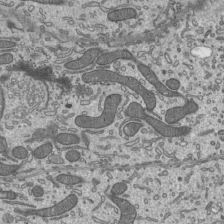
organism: Mouse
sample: Mouse epididymis efferent ductule cilia